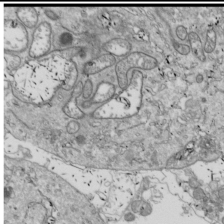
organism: Drosophila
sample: Cell division; meiosis; drosophila spermatocytes